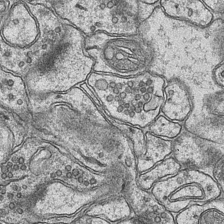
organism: Mouse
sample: CA1 Hippocampus